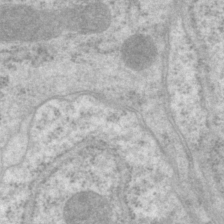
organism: P. pacificus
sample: Pharynx